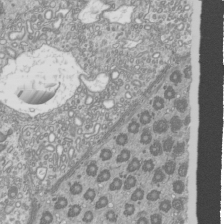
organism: Mouse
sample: Cilia; mouse epididymis